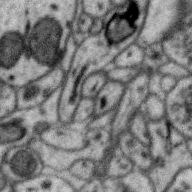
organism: Zebra finch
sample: Brain